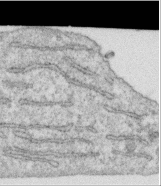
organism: Human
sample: Centriole in RPE cells